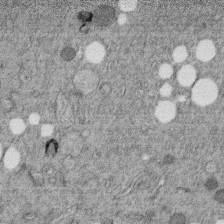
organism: C. elegans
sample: C. elegans embryo early stage